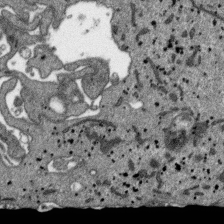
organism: Human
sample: Lung epithelial cells, uninfected (mock) control